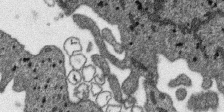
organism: Human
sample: Lung epithelial cells infected with SARS-CoV-2